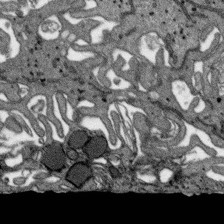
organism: Human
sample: Lung epithelial cells, uninfected (mock) control